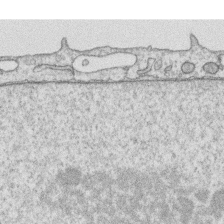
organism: Human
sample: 1205lu cells